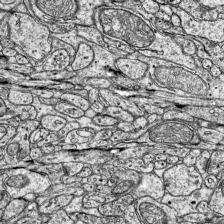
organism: Mouse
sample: Visual Cortex